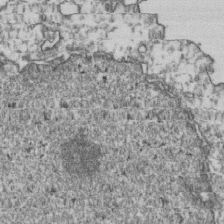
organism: Human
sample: Activated Jurkat CD4+ T cells